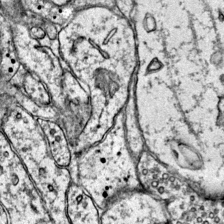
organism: Mouse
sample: Primary visual cortex